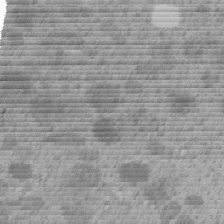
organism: C. elegans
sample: C. elegans embryo early stage